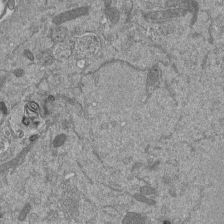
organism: Mouse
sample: ED-1 cell nuclei; centrioles